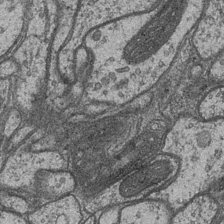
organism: Drosophila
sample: Optic medulla